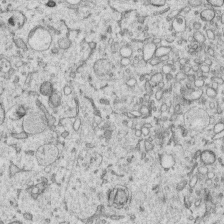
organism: Human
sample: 1205lu cells